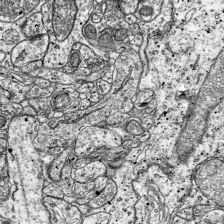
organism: Mouse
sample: Visual Cortex